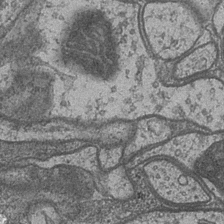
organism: Drosophila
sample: Optic medulla